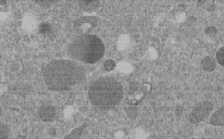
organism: C. elegans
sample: C. elegans embryo early stage